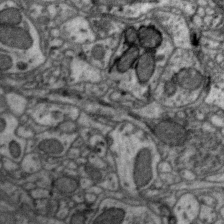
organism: Zebra finch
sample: Brain